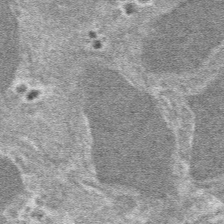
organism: Mouse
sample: Mouse hepatocytes